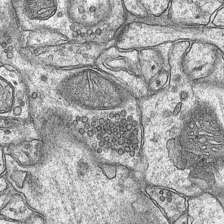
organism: Mouse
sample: CA1 Hippocampus